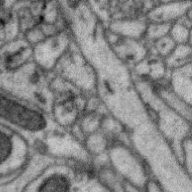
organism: Zebra finch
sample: Brain